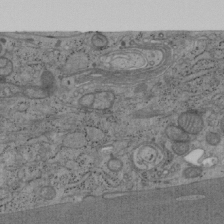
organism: Human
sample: HeLa cells